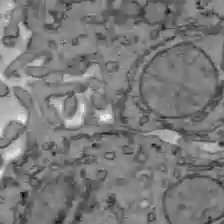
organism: C57BL Mouse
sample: Liver